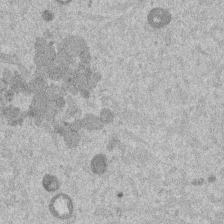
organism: Mouse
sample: Dividing mouse embryo 1 cell stage